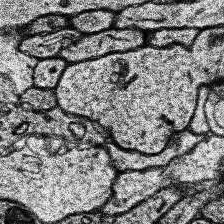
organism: Human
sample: Temporal Lobe